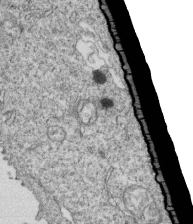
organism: Human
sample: HeLa cell HIV synapse